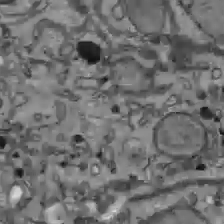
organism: C57BL Mouse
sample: Liver